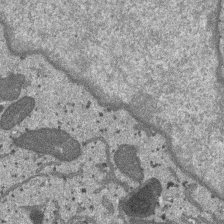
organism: Human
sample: Lung epithelial cells infected with SARS-CoV-2